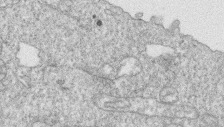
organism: Human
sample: HeLa cell HIV synapse